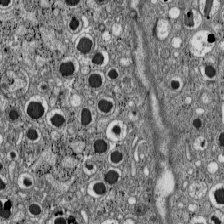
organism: C57BL Mouse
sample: Pancreatic islet